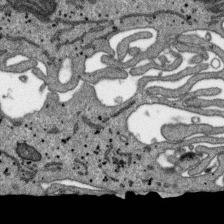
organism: Human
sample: Lung epithelial cells, uninfected (mock) control